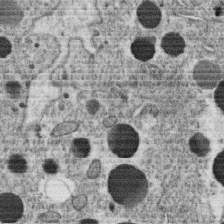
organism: C. elegans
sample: C. elegans oocyte; sperm cells